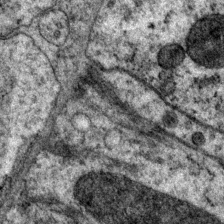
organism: P. pacificus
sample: Pharynx